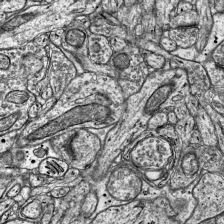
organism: Mouse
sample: Visual Cortex